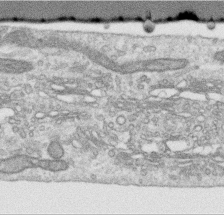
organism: Human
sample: Centriole in RPE cells